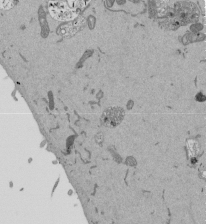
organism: Mouse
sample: ED-1 cell nuclei; centrioles